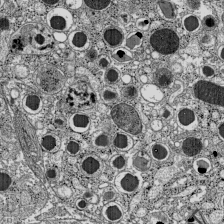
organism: C57BL Mouse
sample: Pancreatic islet